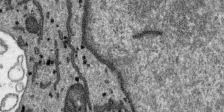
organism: Human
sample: Lung epithelial cells, uninfected (mock) control